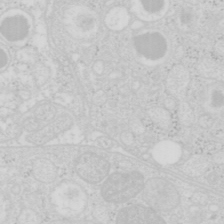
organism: Mouse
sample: Pancreas